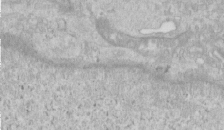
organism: Human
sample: Centriole in RPE cells